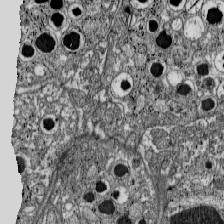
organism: C57BL Mouse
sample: Pancreatic islet